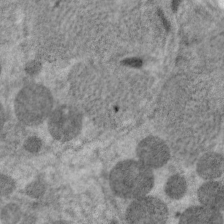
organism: C. elegans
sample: Pharynx